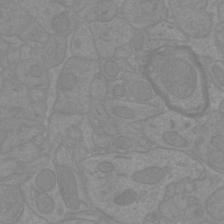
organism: Mouse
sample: Cortical neurons